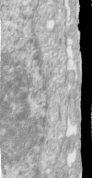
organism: Human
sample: Centriole in RPE cells